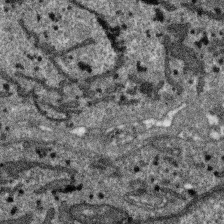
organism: Human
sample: Lung epithelial cells infected with SARS-CoV-2